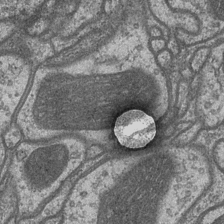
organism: Drosophila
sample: Optic medulla